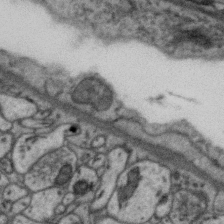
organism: Zebra finch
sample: Brain